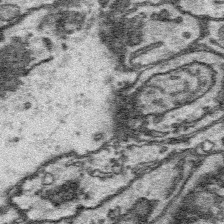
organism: Platynereis dumerilii